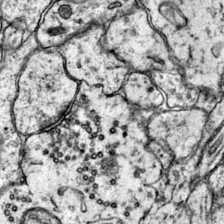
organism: Mouse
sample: Primary visual cortex